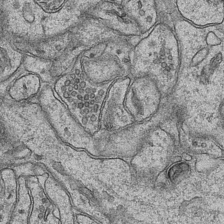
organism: Mouse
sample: CA1 Hippocampus